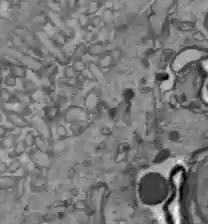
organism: C57BL Mouse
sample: Liver